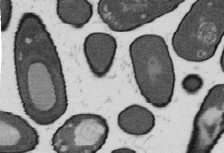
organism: B. subtilis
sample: Bacterial spore